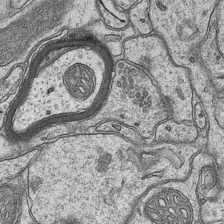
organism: Mouse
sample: CA1 Hippocampus